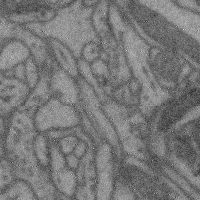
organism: Mouse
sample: Cerebral cortex